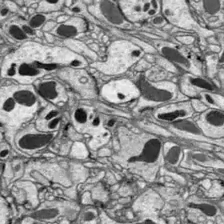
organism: Drosophila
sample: Optic lobe